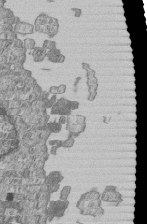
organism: Human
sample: MDA-MB-231 cells